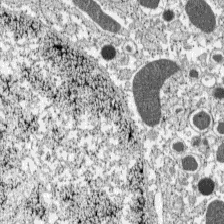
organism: C57BL Mouse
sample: Pancreatic islet